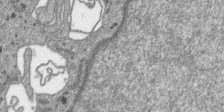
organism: Human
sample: Lung epithelial cells infected with SARS-CoV-2